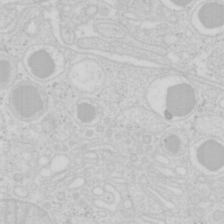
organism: Mouse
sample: Pancreas